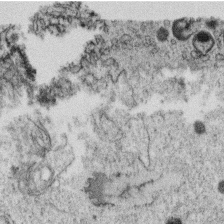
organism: C. elegans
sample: C. elegans oocyte; sperm cells